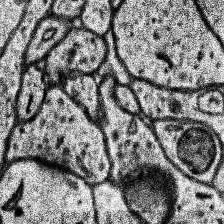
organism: Human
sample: Temporal Lobe